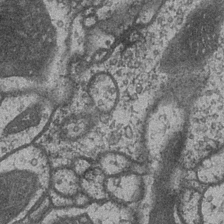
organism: Drosophila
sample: Optic medulla